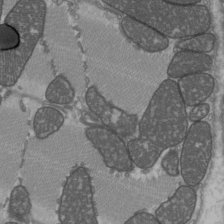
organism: C57BL Mouse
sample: Heart